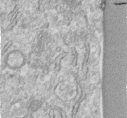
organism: Human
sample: Centriole in fibroblast cells